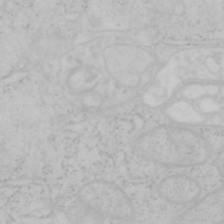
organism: Mouse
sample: OT-I killer T cells with ID8 ovarian cancer cells